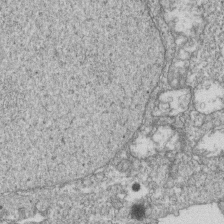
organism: Human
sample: HeLa cell HIV synapse